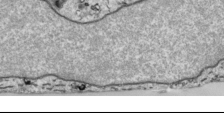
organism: Human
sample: Mitochondria in HCT116 cells